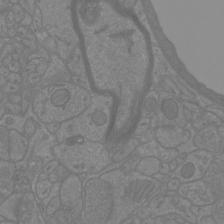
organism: Mouse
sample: Cortical neurons